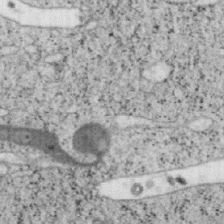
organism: Mouse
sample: OT-I killer T cells with ID8 ovarian cancer cells